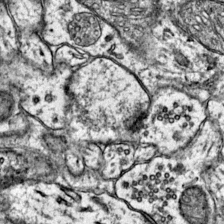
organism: Mouse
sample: Primary visual cortex